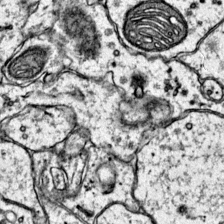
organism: Mouse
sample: Primary visual cortex